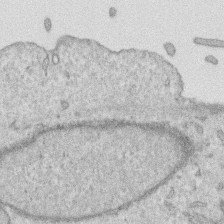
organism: Human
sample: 1205lu cells